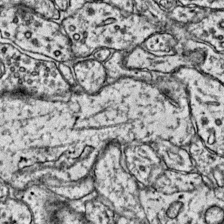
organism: Mouse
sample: Primary visual cortex